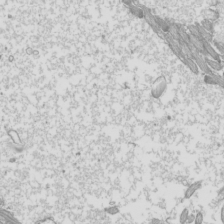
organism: Mouse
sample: Cilia; mouse epididymis